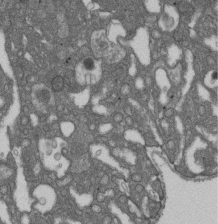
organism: Drosophila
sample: Nephrocyte